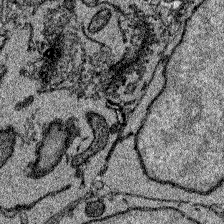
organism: Zebrafish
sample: Larval olfactory bulb